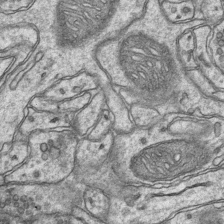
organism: Mouse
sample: CA1 Hippocampus